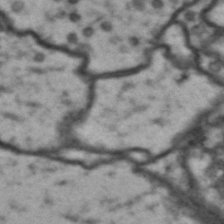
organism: Drosophila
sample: Brain